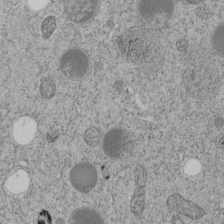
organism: C. elegans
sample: C. elegans embryo early stage